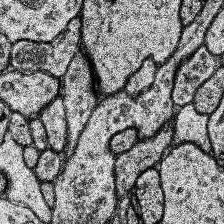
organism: Human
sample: Temporal Lobe